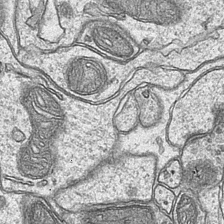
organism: Mouse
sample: CA1 Hippocampus